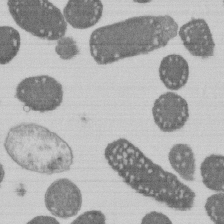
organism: E. coli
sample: Bacterial nucleoid